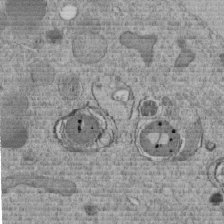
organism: C. elegans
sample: C. elegans embryo early stage